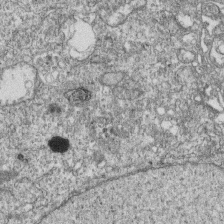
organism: Human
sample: HeLa cell HIV synapse